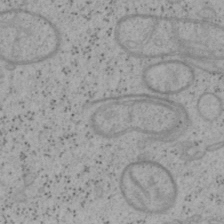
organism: Human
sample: HeLa cells